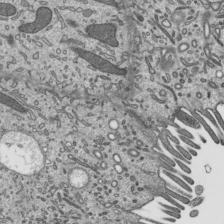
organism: Mouse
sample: Mouse epididymis efferent ductule cilia